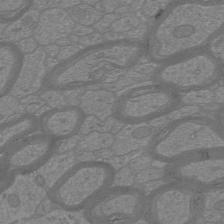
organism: Mouse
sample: Cortical neurons